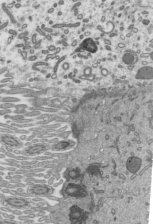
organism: Mouse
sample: Mouse epididymis efferent ductule cilia